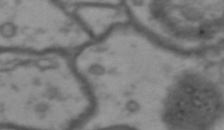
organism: Drosophila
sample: Brain